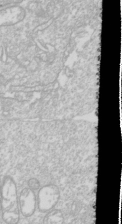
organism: Drosophila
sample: Cell division; meiosis; drosophila spermatocytes